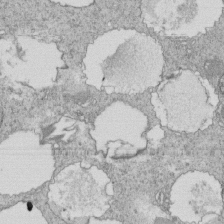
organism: Tetrahymena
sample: Cilia in tetrahymena